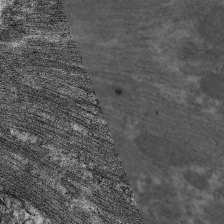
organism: C. elegans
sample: Pharynx